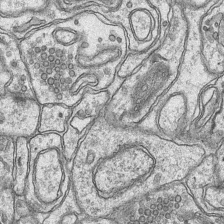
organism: Mouse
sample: CA1 Hippocampus